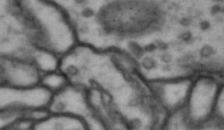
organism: Drosophila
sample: Brain